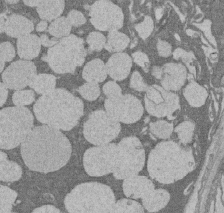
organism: Rat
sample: Salivary granule